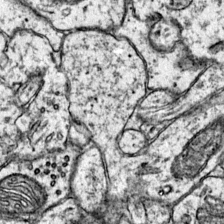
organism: Mouse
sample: Primary visual cortex